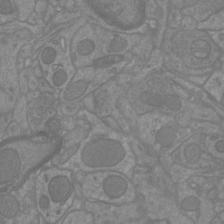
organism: Mouse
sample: Cortical neurons